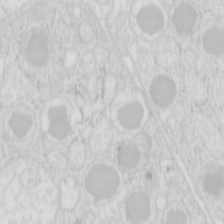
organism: Mouse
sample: Pancreas